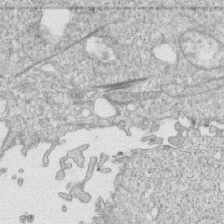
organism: Human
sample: HeLa cell HIV synapse